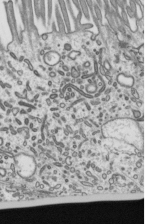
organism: Mouse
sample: Mouse epididymis efferent ductule cilia